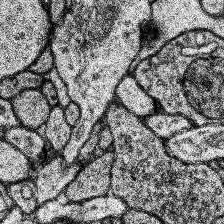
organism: Human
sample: Temporal Lobe